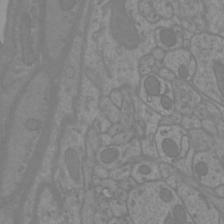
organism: Mouse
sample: Cortical neurons